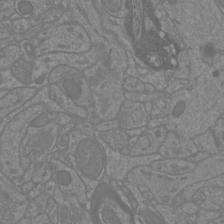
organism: Mouse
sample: Cortical neurons